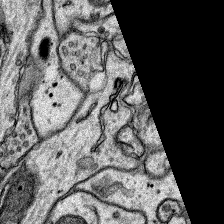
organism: Rat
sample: Hippocampus